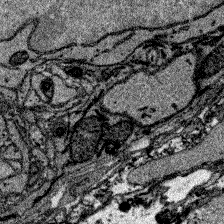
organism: Zebrafish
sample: Larval olfactory bulb